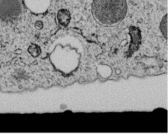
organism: C. elegans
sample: C. elegans embryo early stage